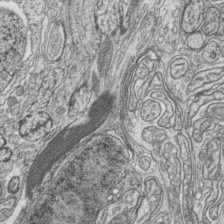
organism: Zebrafish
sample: synaptic ribbons in rod cells and cone cells